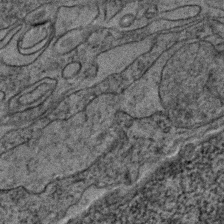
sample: Trachea